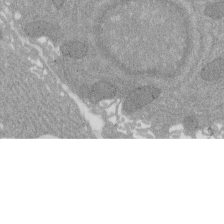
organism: Rat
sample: Salivary granule